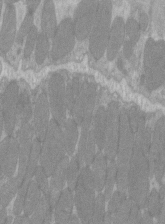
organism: C57BL Mouse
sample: Tibialis anterior muscle cell